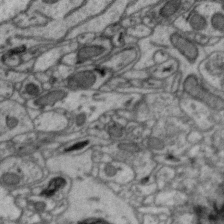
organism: Zebra finch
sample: Brain